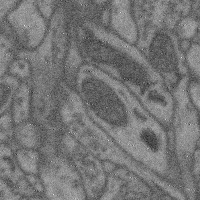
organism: Mouse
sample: Cerebral cortex